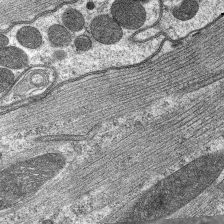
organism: C. elegans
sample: Pharynx